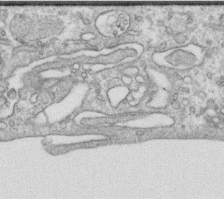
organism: Human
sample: Centriole in RPE cells